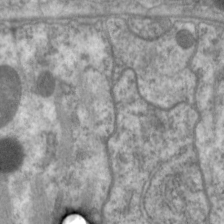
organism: C. elegans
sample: Pharynx